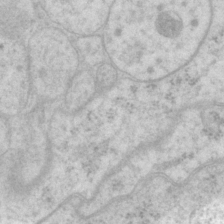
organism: P. pacificus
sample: Pharynx